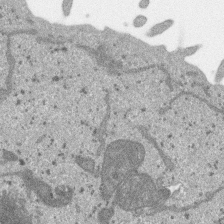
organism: Human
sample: Lung epithelial cells infected with SARS-CoV-2